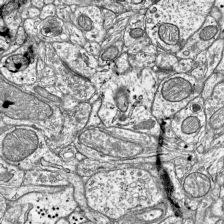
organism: Mouse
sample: Visual Cortex